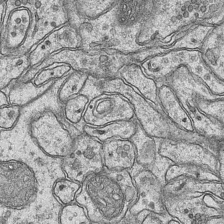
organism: Mouse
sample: CA1 Hippocampus